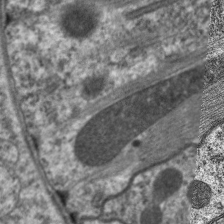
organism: C. elegans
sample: Pharynx